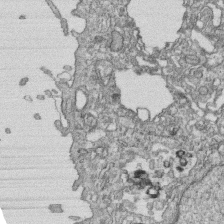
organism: Human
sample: HeLa cell HIV synapse